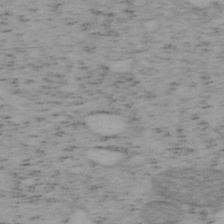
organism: Mouse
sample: OT-I killer T cells with ID8 ovarian cancer cells